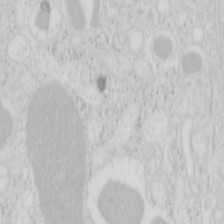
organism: Mouse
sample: Pancreas